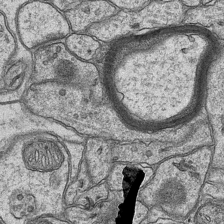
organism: Mouse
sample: CA1 Hippocampus